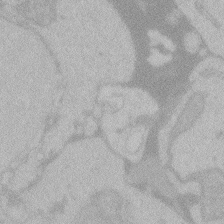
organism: Zebrafish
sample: Macrophage infected with Toxoplasma gondii